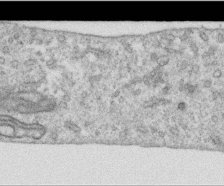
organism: Human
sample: Centriole in RPE cells